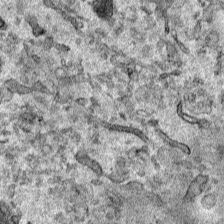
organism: Human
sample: Mitochondria in HCT116 cells